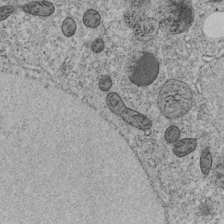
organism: C. elegans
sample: C. elegans embryo early stage